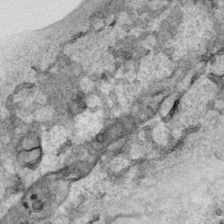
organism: Human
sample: Mitochondria in HCT116 cells